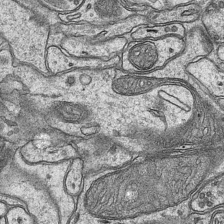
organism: Mouse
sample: CA1 Hippocampus